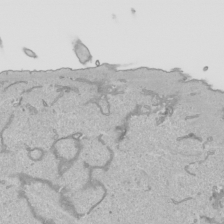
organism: Human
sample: Mitochondria in HCT116 cells